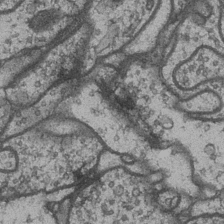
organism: Drosophila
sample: Optic medulla